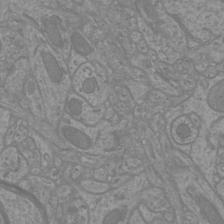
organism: Mouse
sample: Cortical neurons